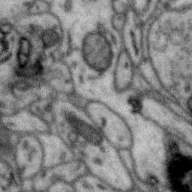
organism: Zebra finch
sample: Brain